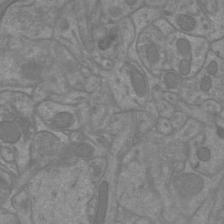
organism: Mouse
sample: Cortical neurons